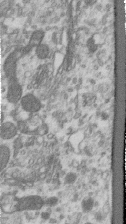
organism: Human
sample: Centriole in RPE cells